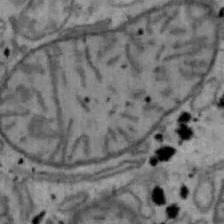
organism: Mouse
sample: Liver